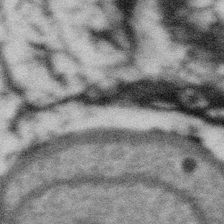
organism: Gemmata obscuriglobus